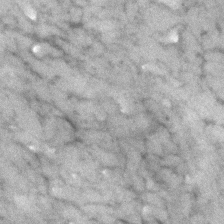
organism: Human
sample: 1205lu cells